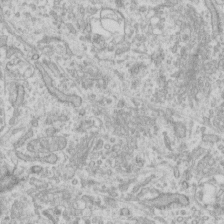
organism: Human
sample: Fibroblast cells